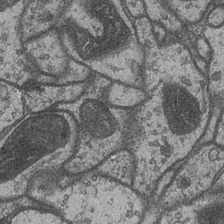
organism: Drosophila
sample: Optic medulla